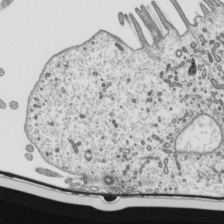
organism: Mouse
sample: Mouse epididymis efferent ductule cilia